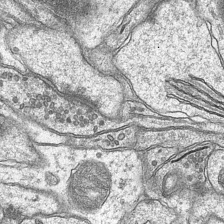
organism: Mouse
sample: CA1 Hippocampus